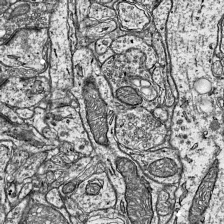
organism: Mouse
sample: Visual Cortex